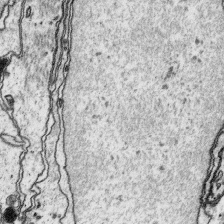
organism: Platynereis dumerilii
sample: Parapodia